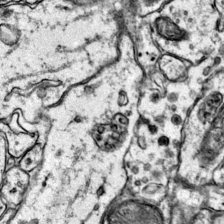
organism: Mouse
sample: Primary visual cortex